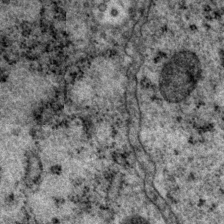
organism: P. pacificus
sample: Pharynx